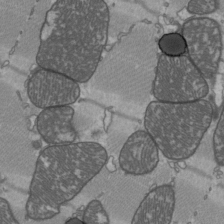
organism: C57BL Mouse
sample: Heart